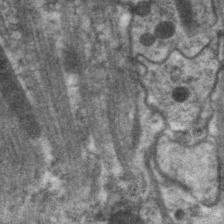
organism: C. elegans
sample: Pharynx